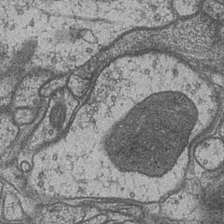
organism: Drosophila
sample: Optic medulla